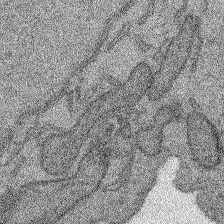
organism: Human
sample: HeLa cells